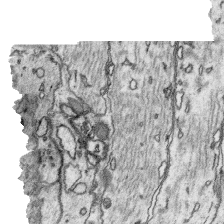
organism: Platynereis dumerilii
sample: Parapodia